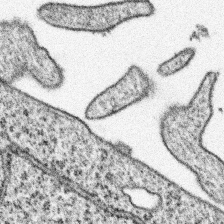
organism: Human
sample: HeLa cells